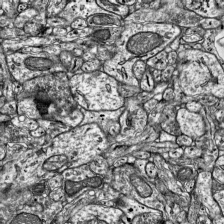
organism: Mouse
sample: Visual Cortex